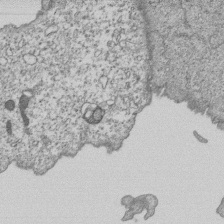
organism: Human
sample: MDA-MB-231 cells